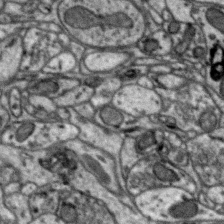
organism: Zebra finch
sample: Brain